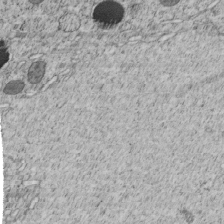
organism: C. elegans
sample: C. elegans embryo early stage